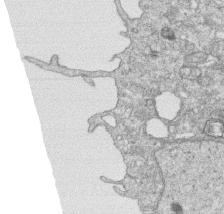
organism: Human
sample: HeLa cell HIV synapse